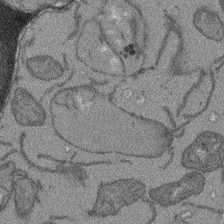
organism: Arabidopsis thaliana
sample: Root tip